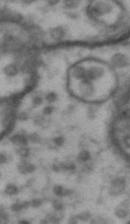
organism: Drosophila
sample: Brain